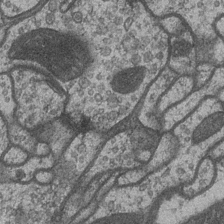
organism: Drosophila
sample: Optic medulla